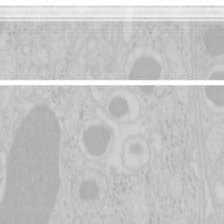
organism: Mouse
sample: Pancreas